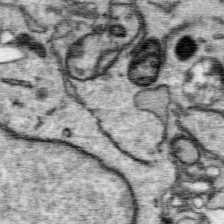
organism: Human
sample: HeLa cells